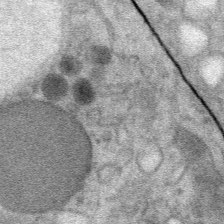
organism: Mouse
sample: Mouse Salivary gland